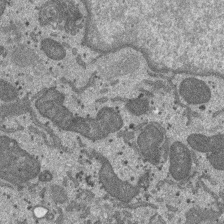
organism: Human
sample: Lung epithelial cells infected with SARS-CoV-2